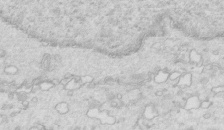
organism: Mouse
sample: Multiciliated cells